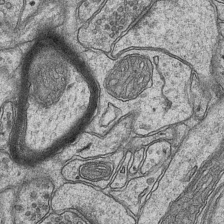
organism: Mouse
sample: CA1 Hippocampus